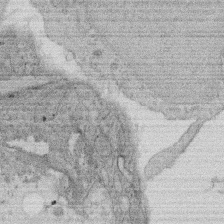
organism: Rat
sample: Salivary granule